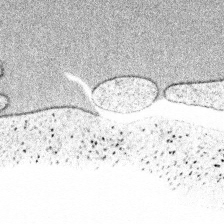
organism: Human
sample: HeLa cells